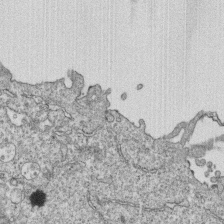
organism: Human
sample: HeLa cell HIV synapse